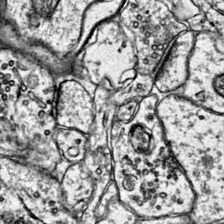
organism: Mouse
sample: Primary visual cortex